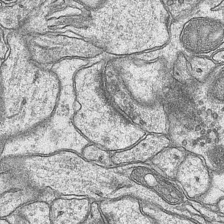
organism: Mouse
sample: CA1 Hippocampus